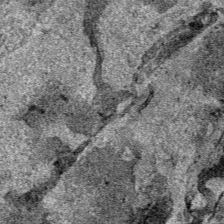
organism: Human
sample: Mitochondria in HCT116 cells